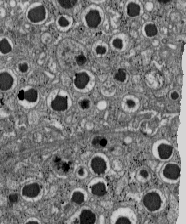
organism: C57BL Mouse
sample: Pancreatic islet